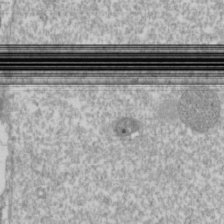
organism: Drosophila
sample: Cell division; meiosis; drosophila spermatocytes